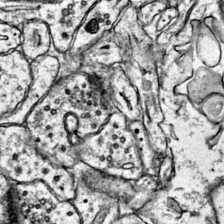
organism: Mouse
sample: Primary visual cortex